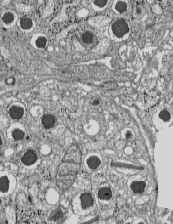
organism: C57BL Mouse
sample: Pancreatic islet